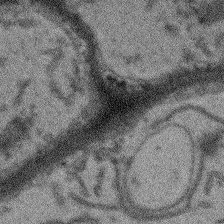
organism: Arabidopsis thaliana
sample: Root tip